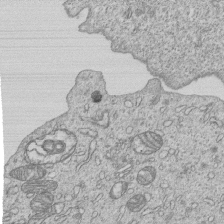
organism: Human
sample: MDA-MB-231 cells